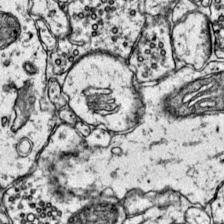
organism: Mouse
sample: Primary visual cortex